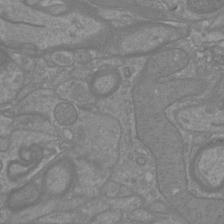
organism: Mouse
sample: Cortical neurons